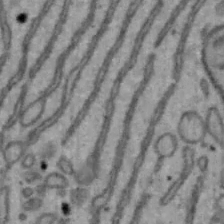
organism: Mouse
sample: Liver